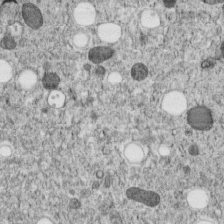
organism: C. elegans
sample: C. elegans embryo early stage